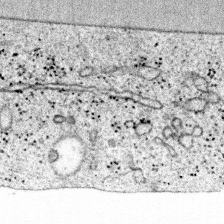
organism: Human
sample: HeLa cells